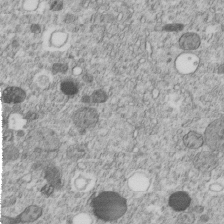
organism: C. elegans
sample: C. elegans embryo early stage